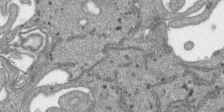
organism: Human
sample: Lung epithelial cells infected with SARS-CoV-2